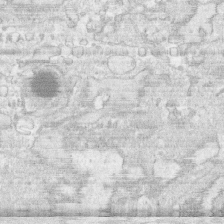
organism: Human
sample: CRL-1474